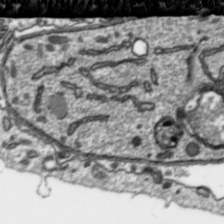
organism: Toxoplasma gondii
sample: Parasites in a vacuole inside a host cell